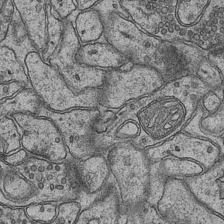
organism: Mouse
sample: CA1 Hippocampus